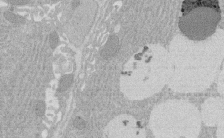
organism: Rat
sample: Salivary granule